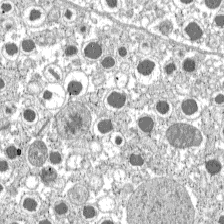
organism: C57BL Mouse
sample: Pancreatic islet